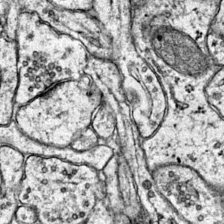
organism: Mouse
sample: Primary visual cortex